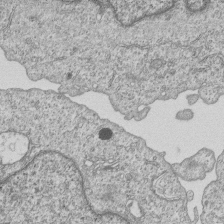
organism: Human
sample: MDA-MB-231 cells